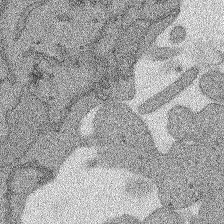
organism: Human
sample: HeLa cells